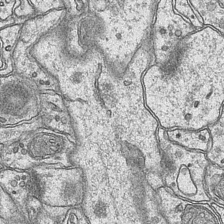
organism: Mouse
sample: CA1 Hippocampus